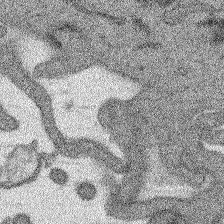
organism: Human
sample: HeLa cells